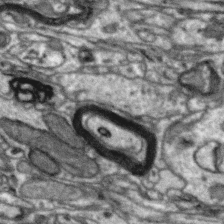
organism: Zebra finch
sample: Brain